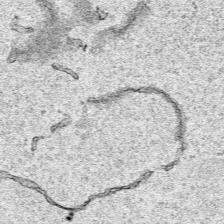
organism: Human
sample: Mitochondria in HCT116 cells